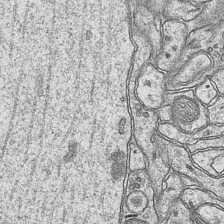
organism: Mouse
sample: CA1 Hippocampus